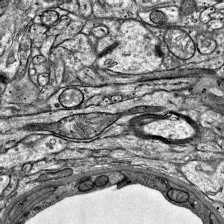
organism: Mouse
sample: Visual Cortex